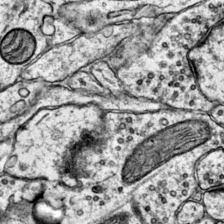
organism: Mouse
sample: Primary visual cortex